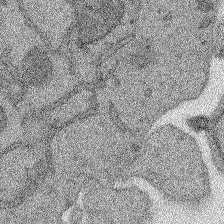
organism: Human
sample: HeLa cells